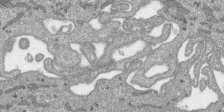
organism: Human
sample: Lung epithelial cells infected with SARS-CoV-2